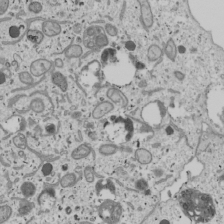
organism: Human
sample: Mitochondria in U2OS cells